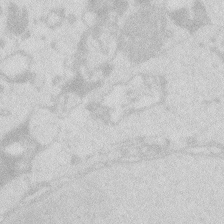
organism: Zebrafish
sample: Macrophage